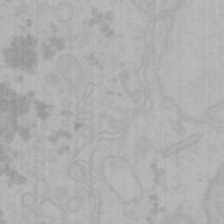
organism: Mouse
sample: Choroid plexus